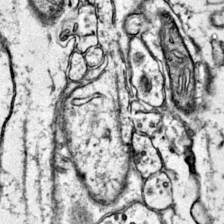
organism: Mouse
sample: Primary visual cortex